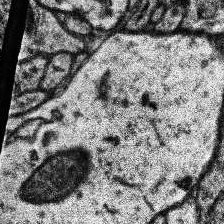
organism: Human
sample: Temporal Lobe